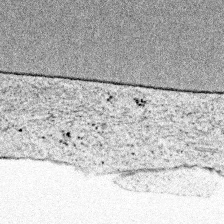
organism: Human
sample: HeLa cells